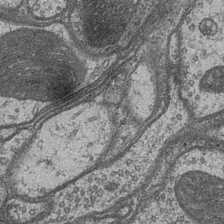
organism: Drosophila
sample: Optic medulla